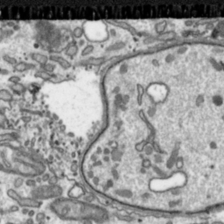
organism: Toxoplasma gondii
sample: Parasites in a vacuole inside a host cell